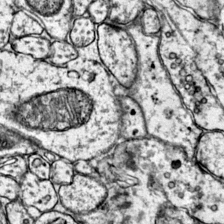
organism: Mouse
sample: Primary visual cortex